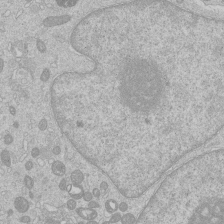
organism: Human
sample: Macrophage cells